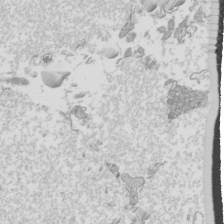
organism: Mouse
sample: Cilia; mouse epididymis